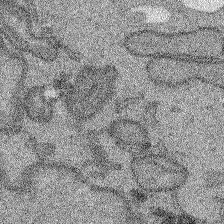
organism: Human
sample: HeLa cells